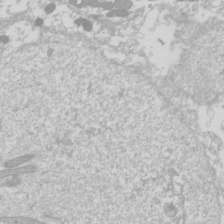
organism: Drosophila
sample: Cell division; meiosis; drosophila spermatocytes